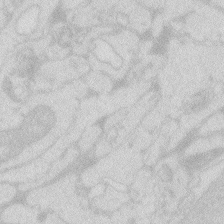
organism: Zebrafish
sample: Macrophage